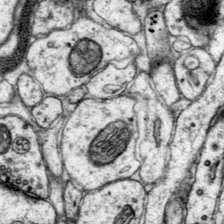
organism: Mouse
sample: Primary visual cortex